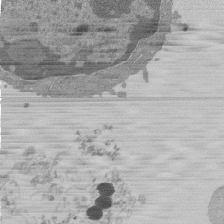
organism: Mouse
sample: Activated Pmel transgenic CD8+ T Cells